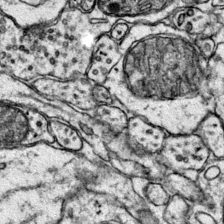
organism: Mouse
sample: Primary visual cortex